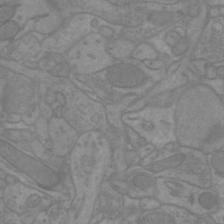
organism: Mouse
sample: Cortical neurons